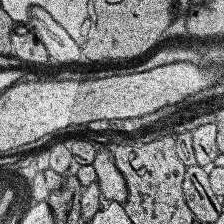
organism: Human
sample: Temporal Lobe